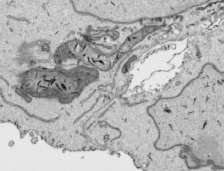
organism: Human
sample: Mitochondria in HCT116 cells